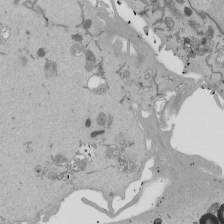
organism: Mouse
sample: ED-1 cell nuclei; centrioles